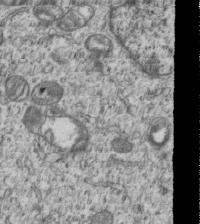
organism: Human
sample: MDA-MB-231 cells